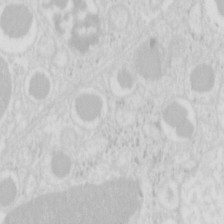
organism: Mouse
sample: Pancreas